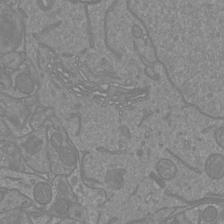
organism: Mouse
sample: Cortical neurons